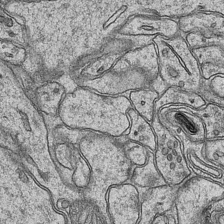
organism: Mouse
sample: CA1 Hippocampus